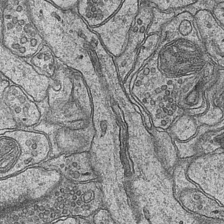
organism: Mouse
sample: CA1 Hippocampus